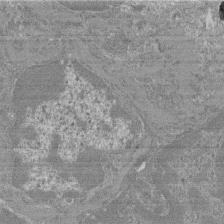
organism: Mouse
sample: Glomerulus